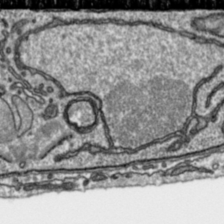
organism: Toxoplasma gondii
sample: Parasites in a vacuole inside a host cell